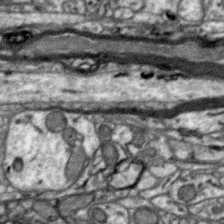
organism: Zebra finch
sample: Brain